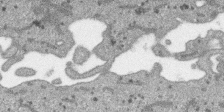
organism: Human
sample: Lung epithelial cells infected with SARS-CoV-2